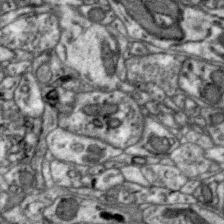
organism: Zebra finch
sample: Brain